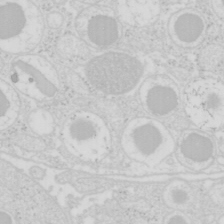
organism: Mouse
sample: Pancreas